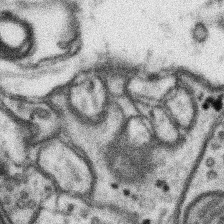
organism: Mouse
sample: Somatosensory cortex neuropil